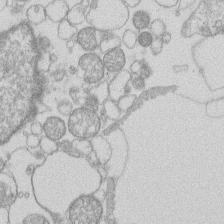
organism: Human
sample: Macrophage cells